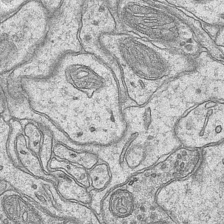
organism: Mouse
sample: CA1 Hippocampus